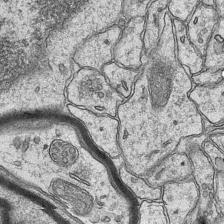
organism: Mouse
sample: CA1 Hippocampus